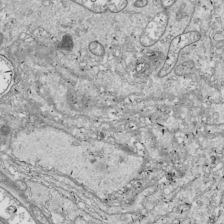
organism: Drosophila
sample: Cell division; meiosis; drosophila spermatocytes